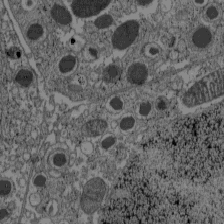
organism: C57BL Mouse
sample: Pancreatic islet